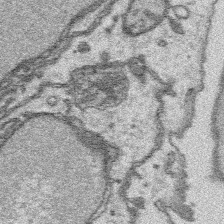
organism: Platynereis dumerilii